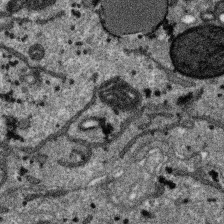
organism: Human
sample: Lung epithelial cells infected with SARS-CoV-2